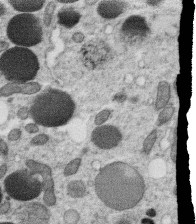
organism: C. elegans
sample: C. elegans oocyte; sperm cells